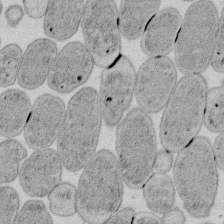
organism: E. coli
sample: Bacterial nucleoid